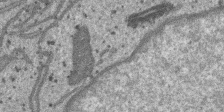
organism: Human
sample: Lung epithelial cells infected with SARS-CoV-2